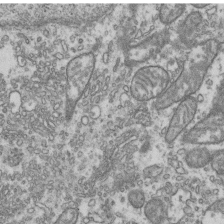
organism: Human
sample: Activated Jurkat CD4+ T cells